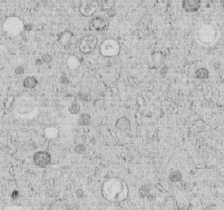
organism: C. elegans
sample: C. elegans embryo early stage